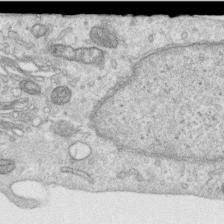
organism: Human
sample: Centriole in RPE cells